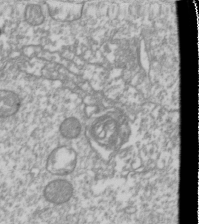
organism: Drosophila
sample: Cell division; meiosis; drosophila spermatocytes